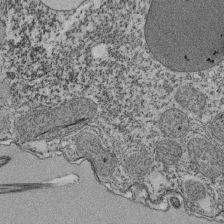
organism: Tetrahymena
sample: Cilia in tetrahymena